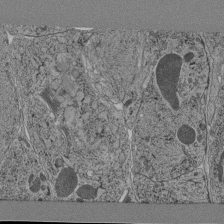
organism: C. elegans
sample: C. elegans pharynx